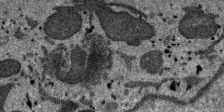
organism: Human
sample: Lung epithelial cells, uninfected (mock) control